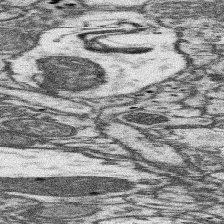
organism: Mouse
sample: Somatosensory cortex neuropil